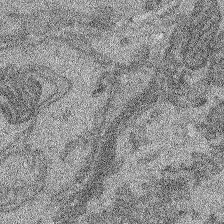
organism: Human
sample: HeLa cells